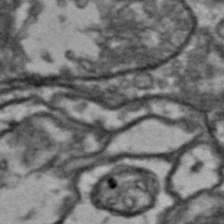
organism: Drosophila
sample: Brain